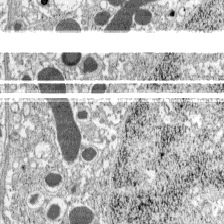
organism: C57BL Mouse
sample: Pancreatic islet